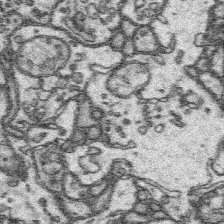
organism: Platynereis dumerilii